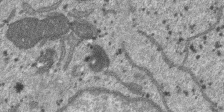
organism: Human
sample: Lung epithelial cells infected with SARS-CoV-2